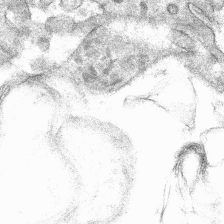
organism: Mouse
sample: Mouse hepatocytes